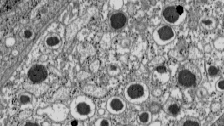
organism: C57BL Mouse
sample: Pancreatic islet